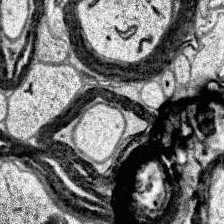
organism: Human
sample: Temporal Lobe